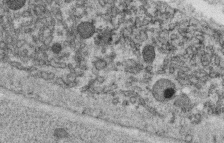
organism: C. elegans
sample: C. elegans oocyte; sperm cells